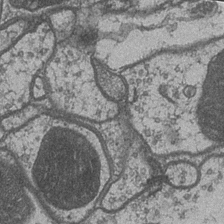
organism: Drosophila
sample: Optic medulla